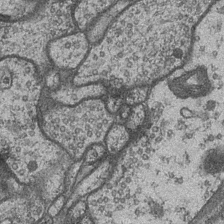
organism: Drosophila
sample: Optic medulla